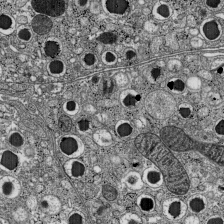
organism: C57BL Mouse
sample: Pancreatic islet